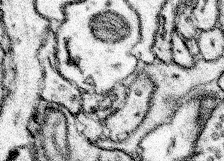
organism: Mouse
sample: Somatosensory cortex neuropil